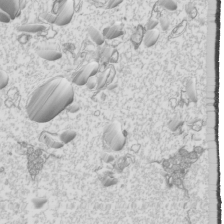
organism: Mouse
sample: Cilia; mouse epididymis